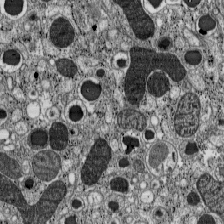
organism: C57BL Mouse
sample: Pancreatic islet